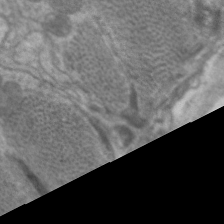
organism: C. elegans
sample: Pharynx